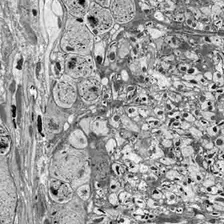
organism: Drosophila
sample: Optic lobe